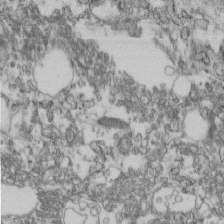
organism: Mouse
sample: Cilia; retinal pigment epithelium